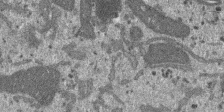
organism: Human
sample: Lung epithelial cells infected with SARS-CoV-2